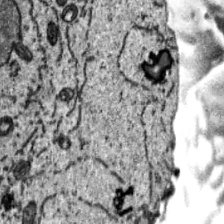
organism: Human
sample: HeLa cells